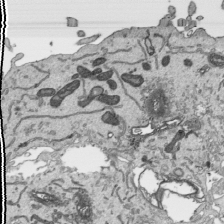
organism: Human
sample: Mitochondria in HCT116 cells